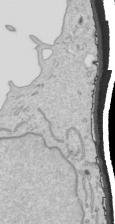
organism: Human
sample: Mitochondria in HCT116 cells